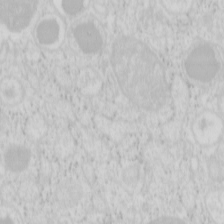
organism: Mouse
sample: Pancreas